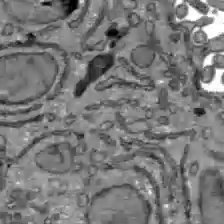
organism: C57BL Mouse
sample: Liver